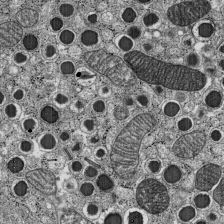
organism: C57BL Mouse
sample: Pancreatic islet